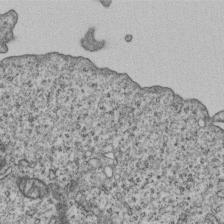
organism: Human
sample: MDA-MB-231 cells